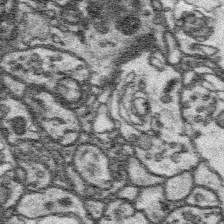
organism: Platynereis dumerilii